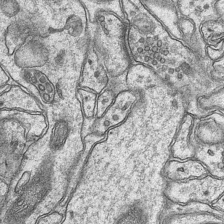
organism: Mouse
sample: CA1 Hippocampus